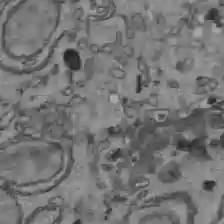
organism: C57BL Mouse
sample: Liver